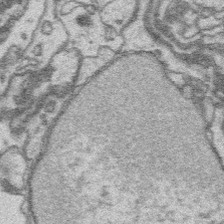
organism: Platynereis dumerilii